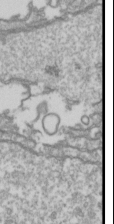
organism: Drosophila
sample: Cell division; meiosis; drosophila spermatocytes